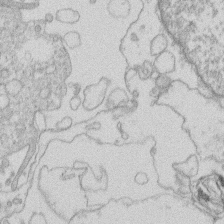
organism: Human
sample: Macrophage cells